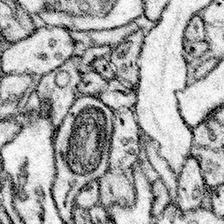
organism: Mouse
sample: Somatosensory cortex neuropil